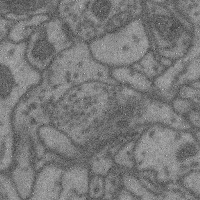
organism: Mouse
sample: Cerebral cortex